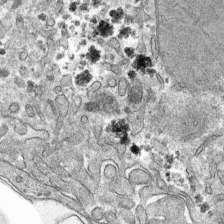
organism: Mouse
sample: Mouse hepatocytes